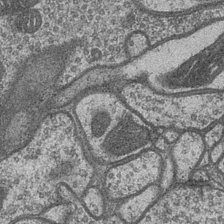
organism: Drosophila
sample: Optic medulla